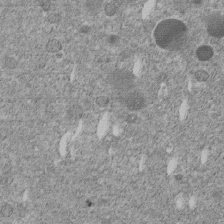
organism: C. elegans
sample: C. elegans embryo early stage